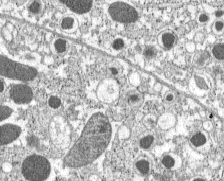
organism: C57BL Mouse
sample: Pancreatic islet